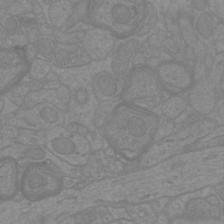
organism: Mouse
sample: Cortical neurons